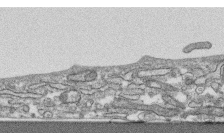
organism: Human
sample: CRL-1474